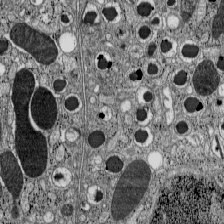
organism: C57BL Mouse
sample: Pancreatic islet